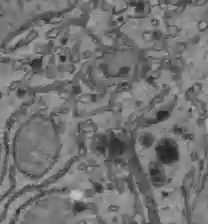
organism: C57BL Mouse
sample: Liver